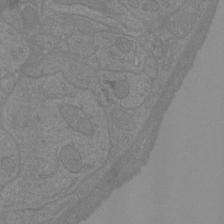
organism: Mouse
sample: Cortical neurons